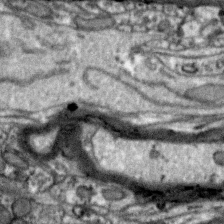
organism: Zebra finch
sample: Brain